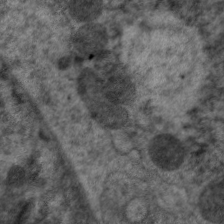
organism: C. elegans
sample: Pharynx